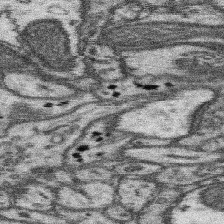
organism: Mouse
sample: Somatosensory cortex neuropil